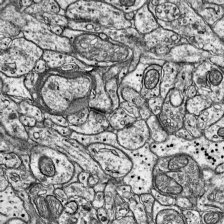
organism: Mouse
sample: Visual Cortex